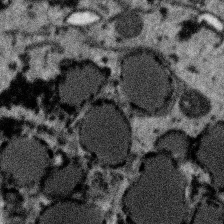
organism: Human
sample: Lung epithelial cells infected with SARS-CoV-2